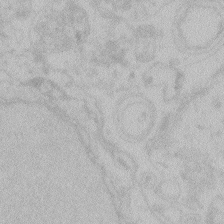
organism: Zebrafish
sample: Macrophage infected with Toxoplasma gondii